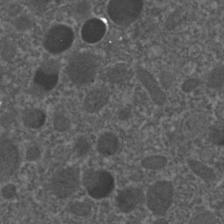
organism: C. elegans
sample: C. elegans embryo